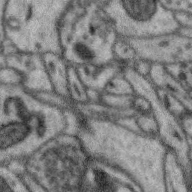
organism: Zebra finch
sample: Brain